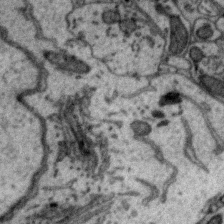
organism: Zebra finch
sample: Brain